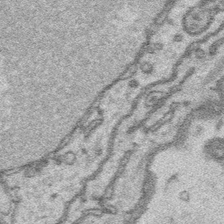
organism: Platynereis dumerilii